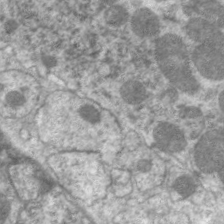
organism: C. elegans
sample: Pharynx